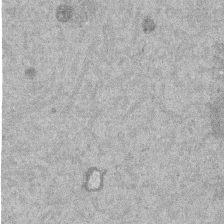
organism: Mouse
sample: Dividing mouse embryo 1 cell stage